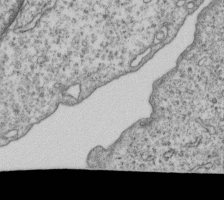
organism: Human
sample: MDA-MB-231 cells